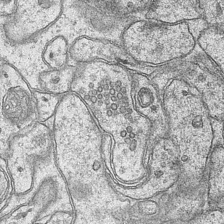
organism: Mouse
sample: CA1 Hippocampus